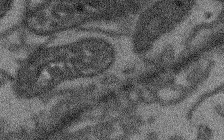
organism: Arabidopsis thaliana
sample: Root tip